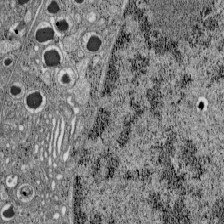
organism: C57BL Mouse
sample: Pancreatic islet